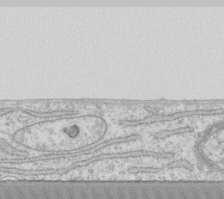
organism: Human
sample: Fibroblast cells